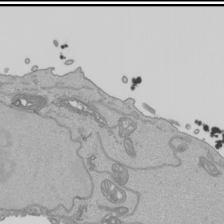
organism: Human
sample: Mitochondria in HCT116 cells